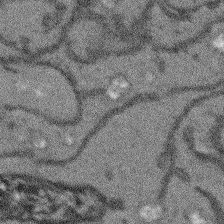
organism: Arabidopsis thaliana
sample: Root tip